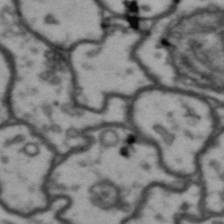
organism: Drosophila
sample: Brain